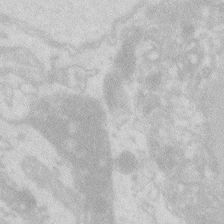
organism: Zebrafish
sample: Macrophage